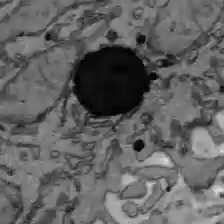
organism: C57BL Mouse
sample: Liver